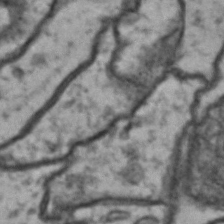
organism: Drosophila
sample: Brain